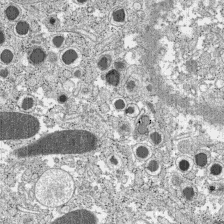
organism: C57BL Mouse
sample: Pancreatic islet